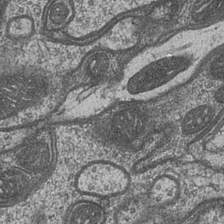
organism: Drosophila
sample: Optic medulla